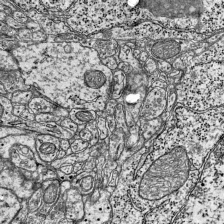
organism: Mouse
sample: Visual Cortex